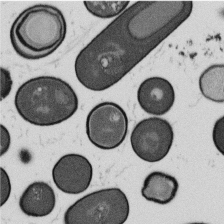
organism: B. subtilis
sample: Bacterial spore